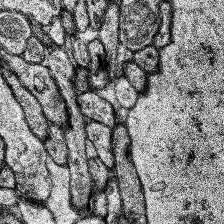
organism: Human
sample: Temporal Lobe